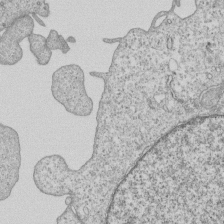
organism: Human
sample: MDA-MB-231 cells